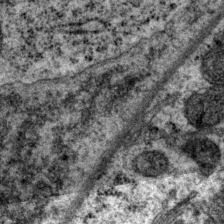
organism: P. pacificus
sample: Pharynx